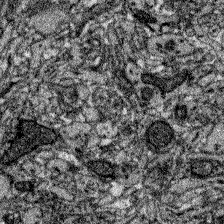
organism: Zebrafish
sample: Larval olfactory bulb